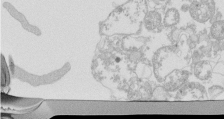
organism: Mouse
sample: Activated Pmel transgenic CD8+ T Cells